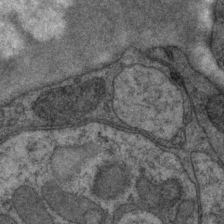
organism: P. pacificus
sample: Pharynx